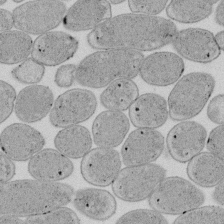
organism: E. coli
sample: Bacterial nucleoid